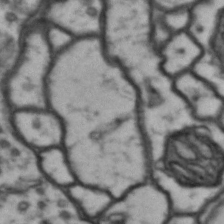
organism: Drosophila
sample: Brain